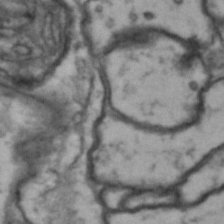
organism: Drosophila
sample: Brain